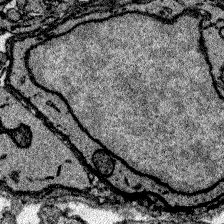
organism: Zebrafish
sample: Larval olfactory bulb